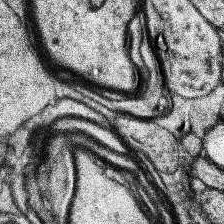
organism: Human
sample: Temporal Lobe